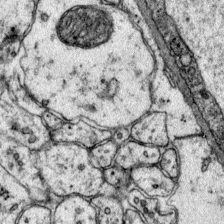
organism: Mouse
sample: Primary visual cortex